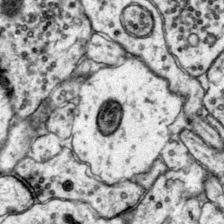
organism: Mouse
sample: Primary visual cortex